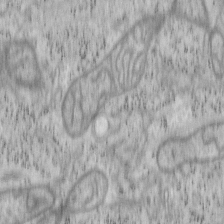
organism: Human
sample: HeLa cells